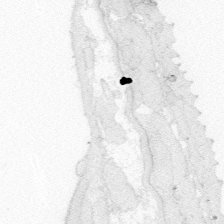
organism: Zebrafish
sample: Whole-Brain